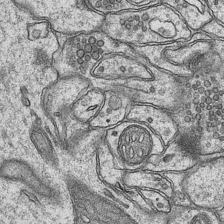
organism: Mouse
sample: CA1 Hippocampus